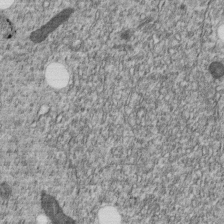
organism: C. elegans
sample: C. elegans embryo early stage